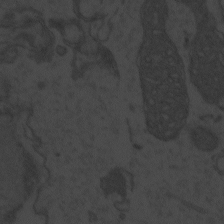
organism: Zebrafish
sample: Macrophage infected with Toxoplasma gondii